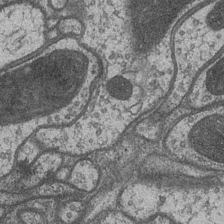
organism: Drosophila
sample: Optic medulla